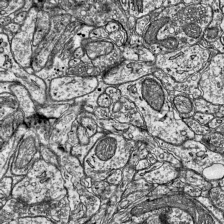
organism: Mouse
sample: Visual Cortex